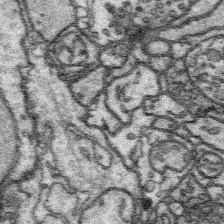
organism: Platynereis dumerilii